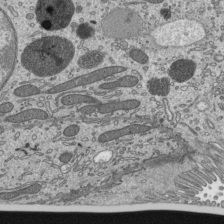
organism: Mouse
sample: Mouse epididymis efferent ductule cilia